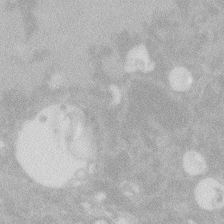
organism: Zebrafish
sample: Macrophage